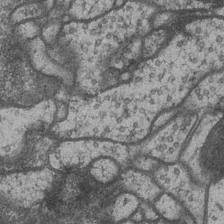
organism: Drosophila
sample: Optic medulla